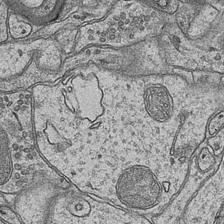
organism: Mouse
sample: CA1 Hippocampus